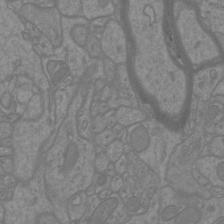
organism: Mouse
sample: Cortical neurons